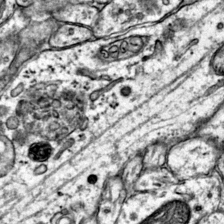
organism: Mouse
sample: Primary visual cortex